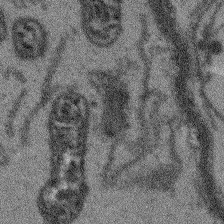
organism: Arabidopsis thaliana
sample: Root tip